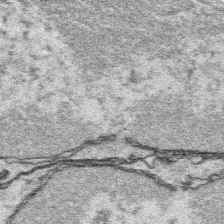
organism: Platynereis dumerilii